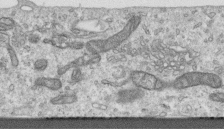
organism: Human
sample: Centriole in RPE cells